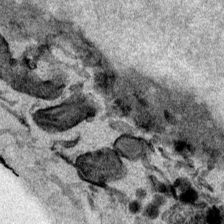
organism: Mouse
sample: Cancer cell death in ED-1 cells